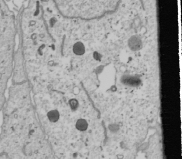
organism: Human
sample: Mitochondria in U2OS cells